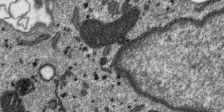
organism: Human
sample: Lung epithelial cells infected with SARS-CoV-2